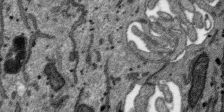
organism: Human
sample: Lung epithelial cells, uninfected (mock) control